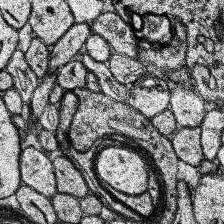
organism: Human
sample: Temporal Lobe